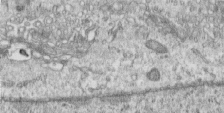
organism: Human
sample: Centriole in RPE cells